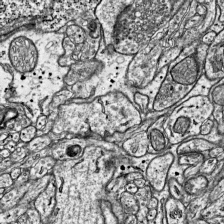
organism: Mouse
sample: Visual Cortex